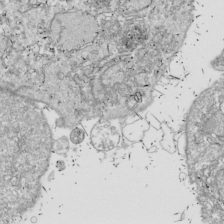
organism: Drosophila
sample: Cell division; meiosis; drosophila spermatocytes